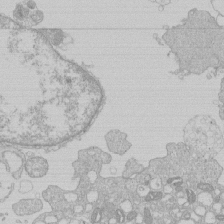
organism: Human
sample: Macrophage cells